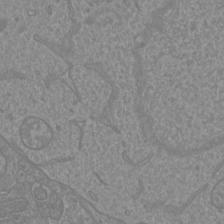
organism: Mouse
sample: Cortical neurons